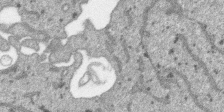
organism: Human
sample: Lung epithelial cells infected with SARS-CoV-2